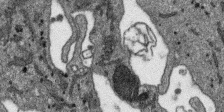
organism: Human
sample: Lung epithelial cells infected with SARS-CoV-2